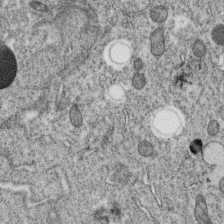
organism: C. elegans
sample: C. elegans oocyte; sperm cells